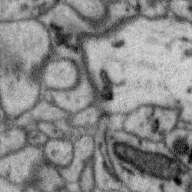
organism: Zebra finch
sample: Brain